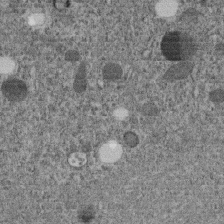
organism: C. elegans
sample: C. elegans embryo early stage